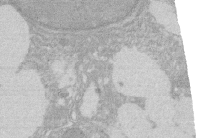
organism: Rat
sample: Salivary granule